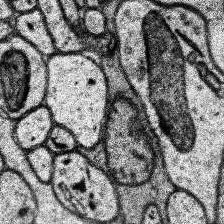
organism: Human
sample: Temporal Lobe